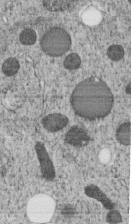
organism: C. elegans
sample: C. elegans embryo early stage